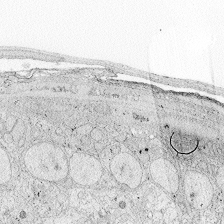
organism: Zebrafish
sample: Whole-Brain